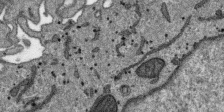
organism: Human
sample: Lung epithelial cells, uninfected (mock) control